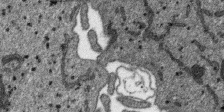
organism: Human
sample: Lung epithelial cells infected with SARS-CoV-2